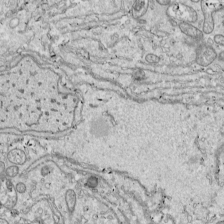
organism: Drosophila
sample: Cell division; meiosis; drosophila spermatocytes